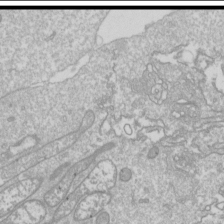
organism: Drosophila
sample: Cell division; meiosis; drosophila spermatocytes